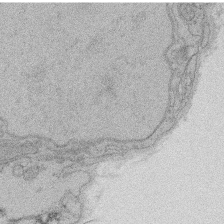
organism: Rat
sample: Salivary granule